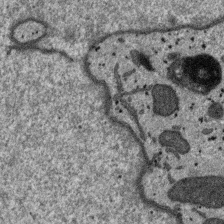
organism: Human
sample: Lung epithelial cells, uninfected (mock) control